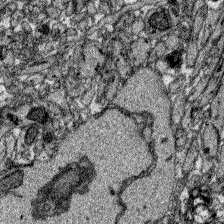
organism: Zebrafish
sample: Larval olfactory bulb